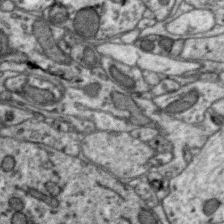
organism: Zebra finch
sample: Brain